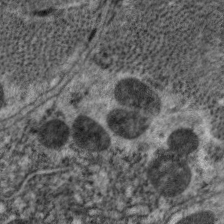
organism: C. elegans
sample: Pharynx